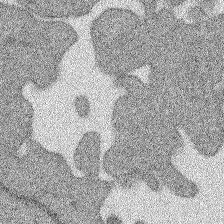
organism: Human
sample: HeLa cells